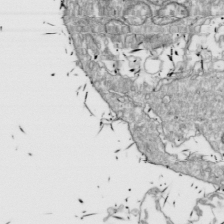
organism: Drosophila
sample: Cell division; meiosis; drosophila spermatocytes